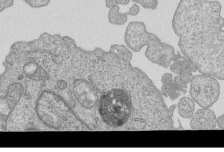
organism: Human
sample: MDA-MB-231 cells